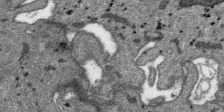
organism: Human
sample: Lung epithelial cells, uninfected (mock) control